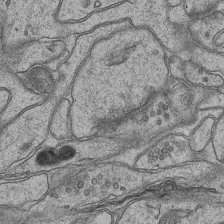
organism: Mouse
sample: CA1 Hippocampus